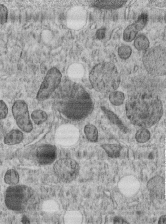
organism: C. elegans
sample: C. elegans embryo early stage